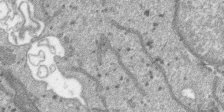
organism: Human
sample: Lung epithelial cells infected with SARS-CoV-2